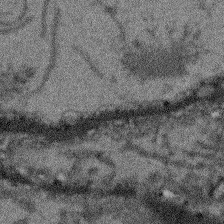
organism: Arabidopsis thaliana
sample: Root tip